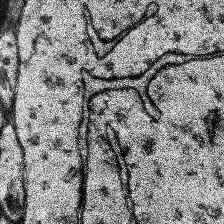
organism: Human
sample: Temporal Lobe